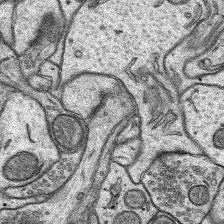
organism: Rat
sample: Hippocampus